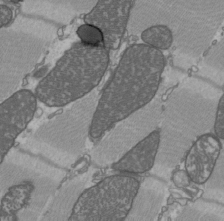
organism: C57BL Mouse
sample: Heart